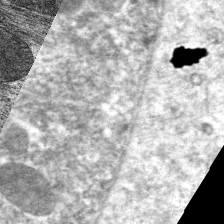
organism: C. elegans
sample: Pharynx